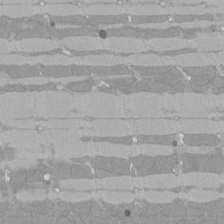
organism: Rat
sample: Left ventricle